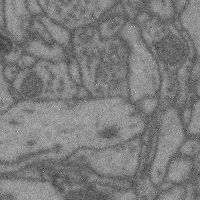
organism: Mouse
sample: Cerebral cortex